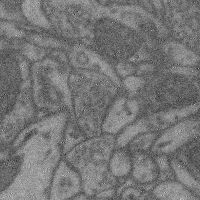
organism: Mouse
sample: Cerebral cortex